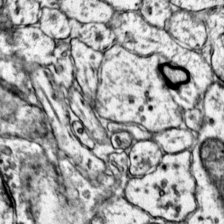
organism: Mouse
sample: Primary visual cortex